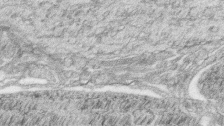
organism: Zebrafish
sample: synaptic ribbons in rod cells and cone cells